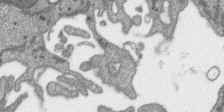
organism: Human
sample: Lung epithelial cells infected with SARS-CoV-2